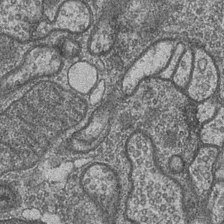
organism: Drosophila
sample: Optic medulla